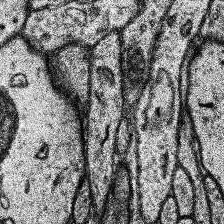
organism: Human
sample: Temporal Lobe